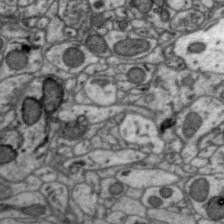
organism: Zebra finch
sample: Brain